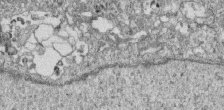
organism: Human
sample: HeLa cell HIV synapse